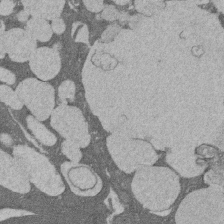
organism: Rat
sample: Salivary granule